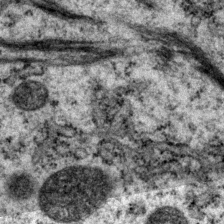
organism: P. pacificus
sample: Pharynx